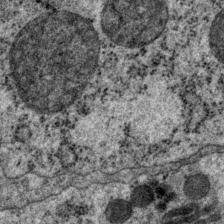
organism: P. pacificus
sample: Pharynx